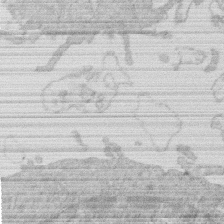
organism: Human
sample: Macrophage cells